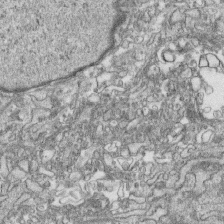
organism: Human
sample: CRL-1474